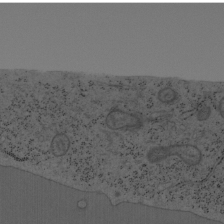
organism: Mouse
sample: OT-I killer T cells with ID8 ovarian cancer cells